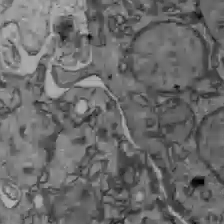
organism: C57BL Mouse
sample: Liver